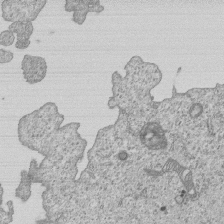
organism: Human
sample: MDA-MB-231 cells